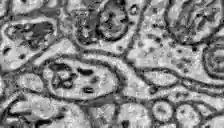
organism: Zebrafish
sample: Brain